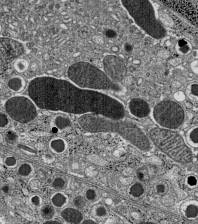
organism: C57BL Mouse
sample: Pancreatic islet